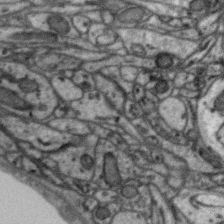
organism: Zebra finch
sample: Brain